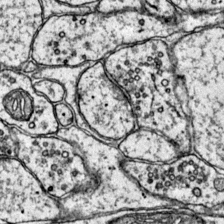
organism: Mouse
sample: Primary visual cortex